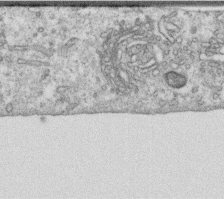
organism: Human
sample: Centriole in RPE cells